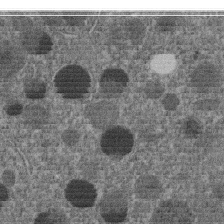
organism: C. elegans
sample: C. elegans embryo early stage